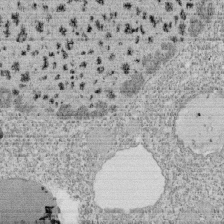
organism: Tetrahymena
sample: Cilia in tetrahymena